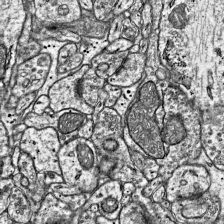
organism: Mouse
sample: Visual Cortex